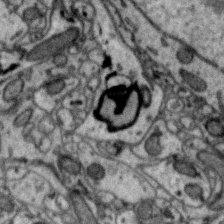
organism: Zebra finch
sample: Brain